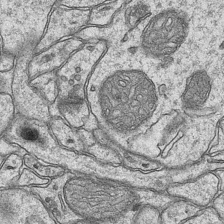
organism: Mouse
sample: CA1 Hippocampus